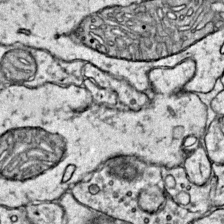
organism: Mouse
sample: Primary visual cortex